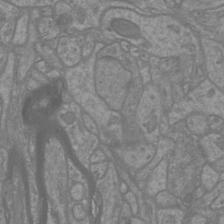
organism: Mouse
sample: Cortical neurons